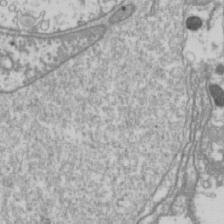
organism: Drosophila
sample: Cell division; meiosis; drosophila spermatocytes